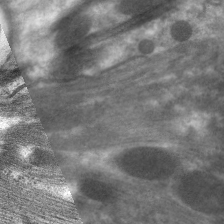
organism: C. elegans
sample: Pharynx